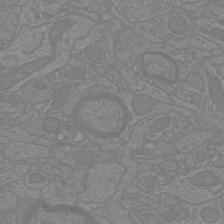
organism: Mouse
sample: Cortical neurons